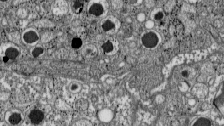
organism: C57BL Mouse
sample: Pancreatic islet